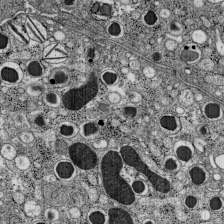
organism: C57BL Mouse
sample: Pancreatic islet